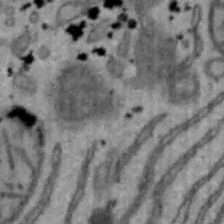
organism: Mouse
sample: Liver